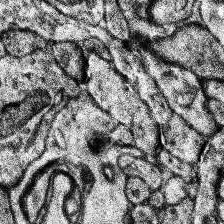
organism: Human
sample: Temporal Lobe